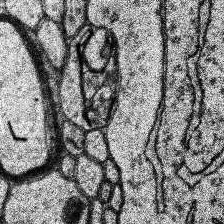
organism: Human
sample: Temporal Lobe